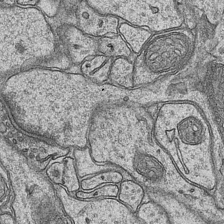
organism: Mouse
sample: CA1 Hippocampus